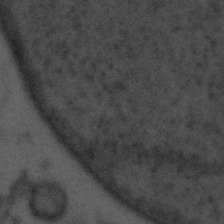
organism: Tuwongella immobilis